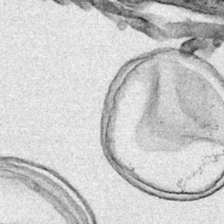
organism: Human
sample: Mitochondria in HCT116 cells